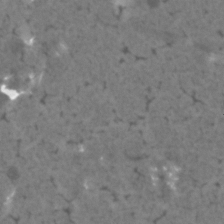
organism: Human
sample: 1205lu cells